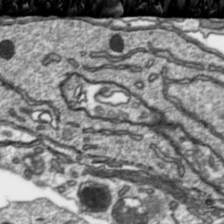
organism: Toxoplasma gondii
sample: Parasites in a vacuole inside a host cell